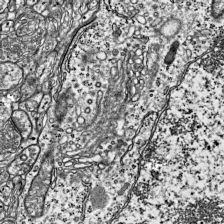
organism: Mouse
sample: Visual Cortex